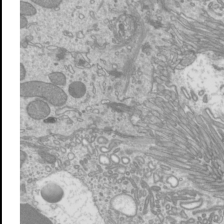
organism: Mouse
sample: Cilia; mouse epididymis